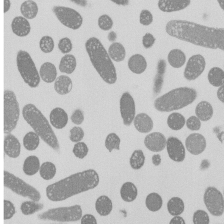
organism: E. coli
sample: Bacterial nucleoid